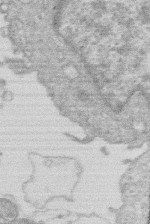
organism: Human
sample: Macrophage cells